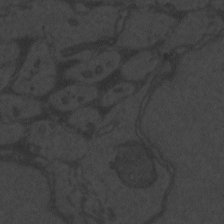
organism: Zebrafish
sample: Macrophage infected with Toxoplasma gondii